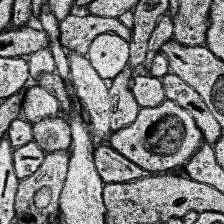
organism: Human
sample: Temporal Lobe